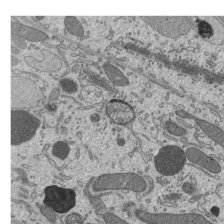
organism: Mouse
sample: Mouse epididymis efferent ductule cilia